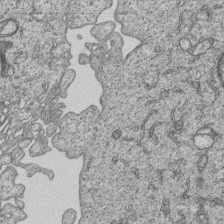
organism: Human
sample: MDA-MB-231 cells